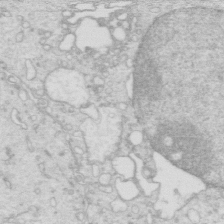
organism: Mouse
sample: Multiciliated cells